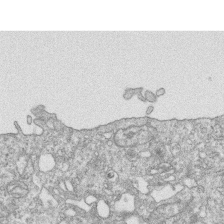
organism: Human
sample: HeLa cell HIV synapse